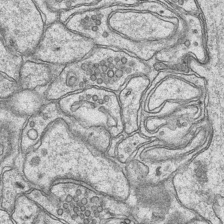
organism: Mouse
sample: CA1 Hippocampus